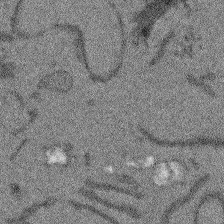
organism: Arabidopsis thaliana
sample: Root tip